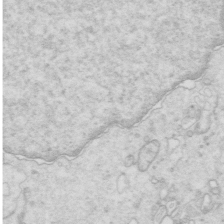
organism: Mouse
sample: Multiciliated cells